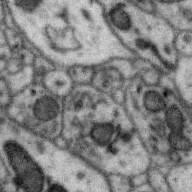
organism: Zebra finch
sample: Brain